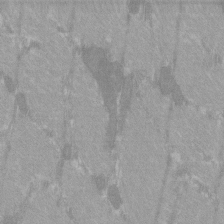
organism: C57BL Mouse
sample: Tibialis anterior muscle cell